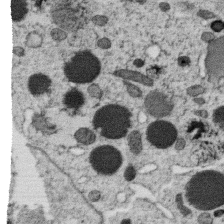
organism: C. elegans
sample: C. elegans oocyte; sperm cells